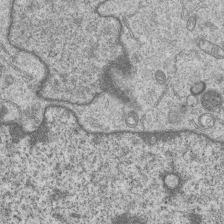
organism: Human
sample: MDA-MB-231 cells